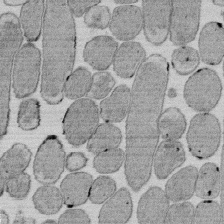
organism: E. coli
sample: Bacterial nucleoid